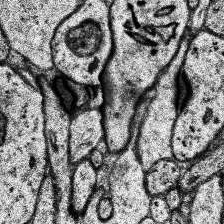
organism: Human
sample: Temporal Lobe